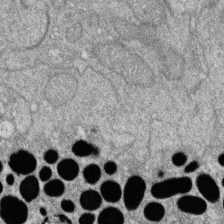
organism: Zebrafish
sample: Cilia; retinal pigment epithelium